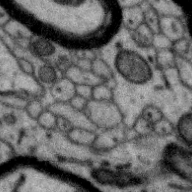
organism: Zebra finch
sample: Brain